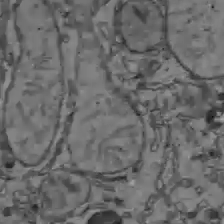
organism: C57BL Mouse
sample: Liver